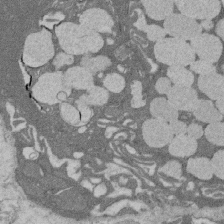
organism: Rat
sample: Salivary granule